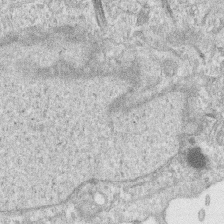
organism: Human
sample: HeLa cell HIV synapse